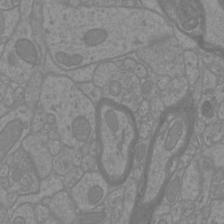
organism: Mouse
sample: Cortical neurons